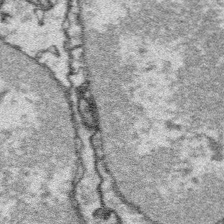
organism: Platynereis dumerilii